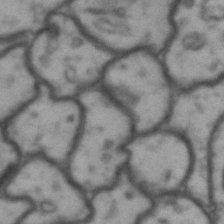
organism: Drosophila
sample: Brain